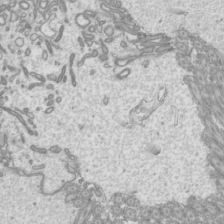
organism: Mouse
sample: Cilia; mouse epididymis